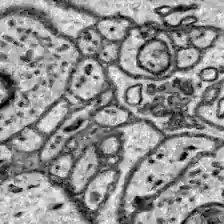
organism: Zebrafish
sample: Brain